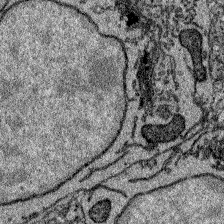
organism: Zebrafish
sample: Larval olfactory bulb